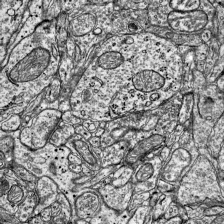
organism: Mouse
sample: Visual Cortex